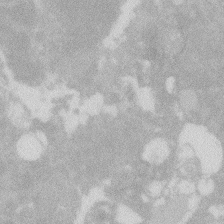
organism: Zebrafish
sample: Macrophage